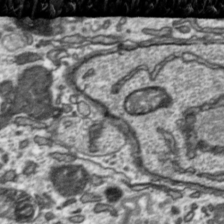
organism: Toxoplasma gondii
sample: Parasites in a vacuole inside a host cell